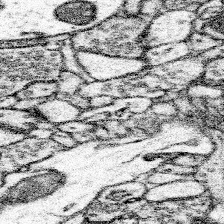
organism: Mouse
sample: Somatosensory cortex neuropil